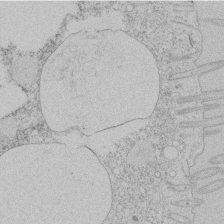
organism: Tetrahymena